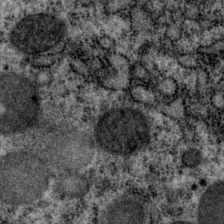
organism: P. pacificus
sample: Pharynx